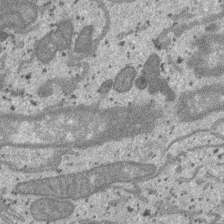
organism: Human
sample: Lung epithelial cells infected with SARS-CoV-2